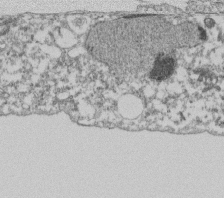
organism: Dictyostelium discoideum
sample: Dictyostelium multivesicular bodies